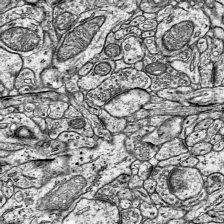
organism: Mouse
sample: Visual Cortex